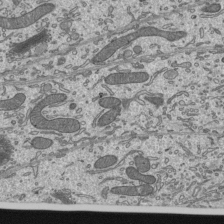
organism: Mouse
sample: Mouse epididymis efferent ductule cilia